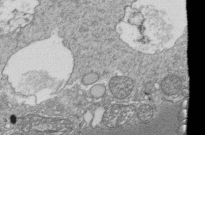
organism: Tetrahymena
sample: Cilia in tetrahymena